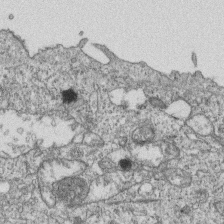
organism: Human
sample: HeLa cell HIV synapse